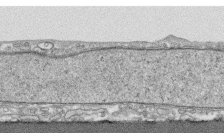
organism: Human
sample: CRL-1474